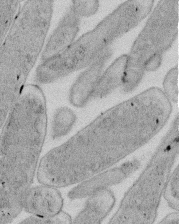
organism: E. coli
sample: Bacterial nucleoid